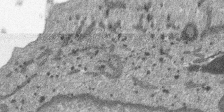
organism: Human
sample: Lung epithelial cells infected with SARS-CoV-2